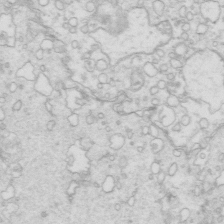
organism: Mouse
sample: Multiciliated cells